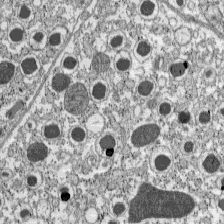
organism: C57BL Mouse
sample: Pancreatic islet